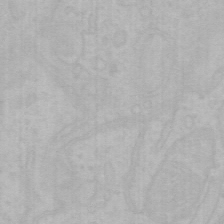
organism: Mouse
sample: Choroid plexus